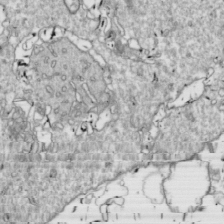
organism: Drosophila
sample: Cell division; meiosis; drosophila spermatocytes